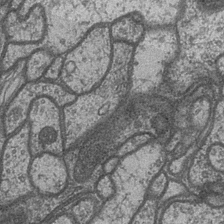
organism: Drosophila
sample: Optic medulla